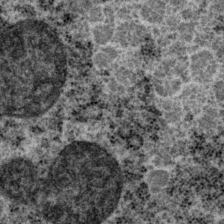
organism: P. pacificus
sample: Pharynx